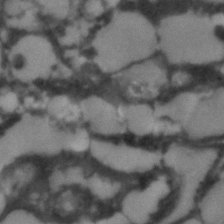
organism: C. elegans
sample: C. elegans embryo